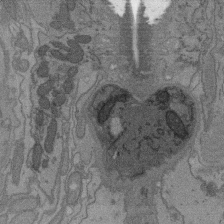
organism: C. elegans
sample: AFD neurons C. elegans